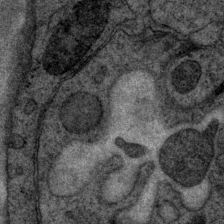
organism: P. pacificus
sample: Pharynx